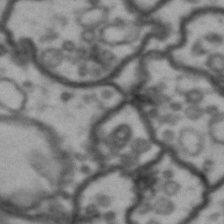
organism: Drosophila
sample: Brain